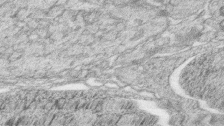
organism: Zebrafish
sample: synaptic ribbons in rod cells and cone cells